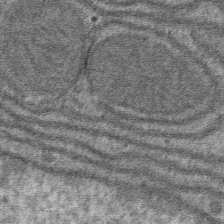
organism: Mouse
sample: Mouse hepatocytes